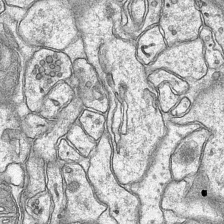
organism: Mouse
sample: CA1 Hippocampus